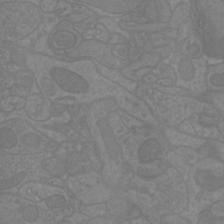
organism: Mouse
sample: Cortical neurons